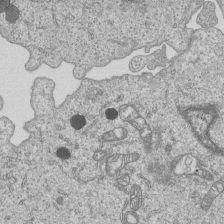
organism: Human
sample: MDA-MB-231 cells